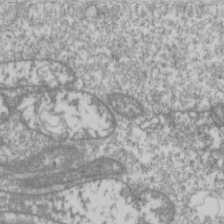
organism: Drosophila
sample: Cell division; meiosis; drosophila spermatocytes